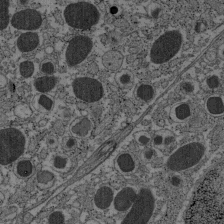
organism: C57BL Mouse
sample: Pancreatic islet